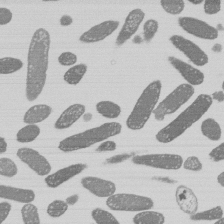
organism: E. coli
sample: Bacterial nucleoid